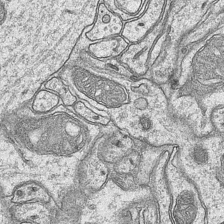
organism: Mouse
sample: CA1 Hippocampus